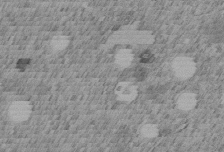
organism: C. elegans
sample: C. elegans embryo early stage